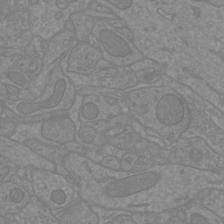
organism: Mouse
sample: Cortical neurons